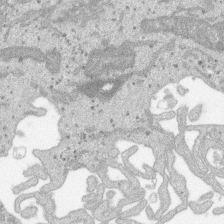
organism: Human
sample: Lung epithelial cells infected with SARS-CoV-2